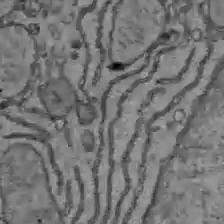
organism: C57BL Mouse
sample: Liver